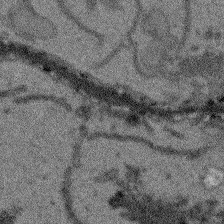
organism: Arabidopsis thaliana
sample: Root tip